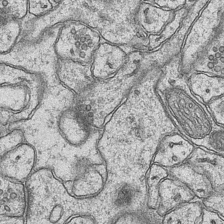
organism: Mouse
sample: CA1 Hippocampus